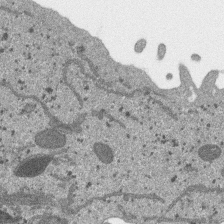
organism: Human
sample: Lung epithelial cells infected with SARS-CoV-2